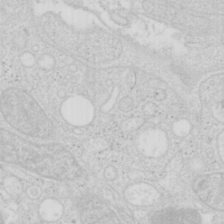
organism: Mouse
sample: Pancreas